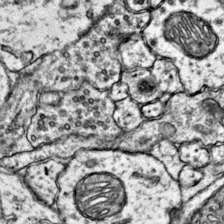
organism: Mouse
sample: Primary visual cortex